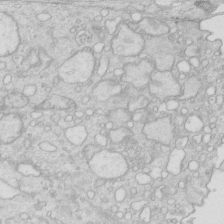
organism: Mouse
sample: Multiciliated cells